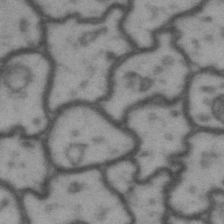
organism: Drosophila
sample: Brain